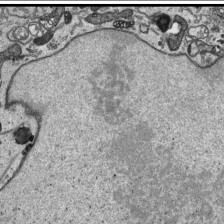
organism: Human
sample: Mitochondria in HCT116 cells